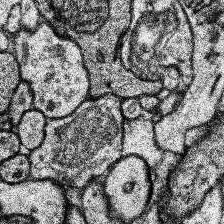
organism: Human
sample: Temporal Lobe